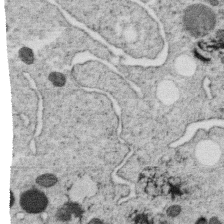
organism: C. elegans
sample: C. elegans oocyte; sperm cells